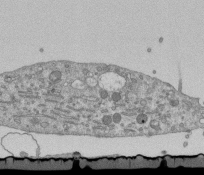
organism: Mouse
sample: ED-1 cell nuclei; centrioles